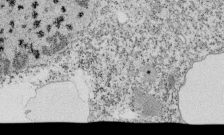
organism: Tetrahymena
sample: Cilia in tetrahymena